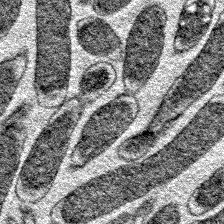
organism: E. coli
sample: E. Coli Bacteria